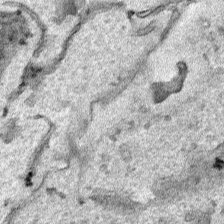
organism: Human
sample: Mitochondria in HCT116 cells